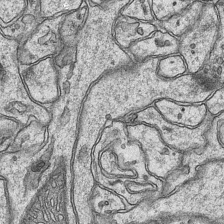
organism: Mouse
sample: CA1 Hippocampus